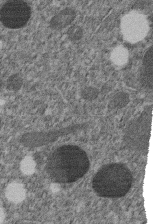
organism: C. elegans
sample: C. elegans embryo early stage